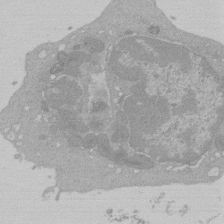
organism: Mouse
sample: Activated Pmel transgenic CD8+ T Cells